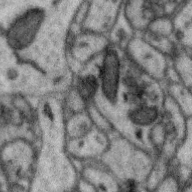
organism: Zebra finch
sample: Brain